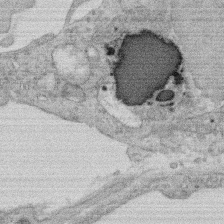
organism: Rat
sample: Salivary granule